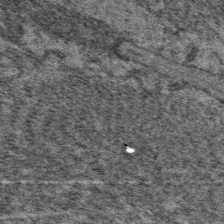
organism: C. elegans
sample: Pharynx